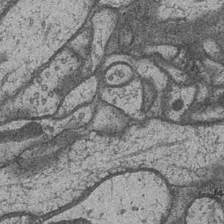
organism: Drosophila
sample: Optic medulla